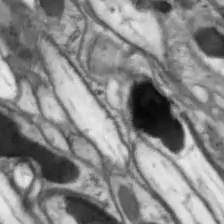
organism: Drosophila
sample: Optic lobe